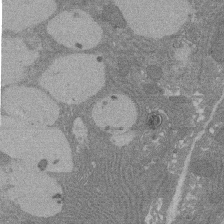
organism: Rat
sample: Salivary granule